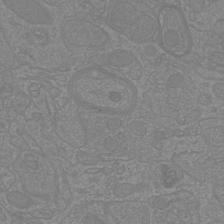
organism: Mouse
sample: Cortical neurons